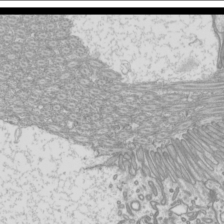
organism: Mouse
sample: Cilia; mouse epididymis